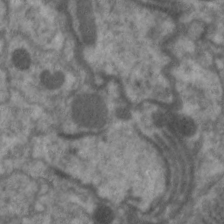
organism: C. elegans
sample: Pharynx